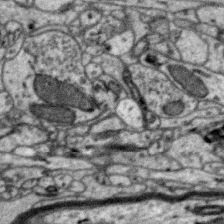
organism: Zebra finch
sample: Brain